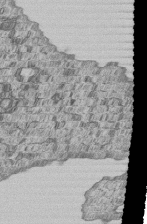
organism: Human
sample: MDA-MB-231 cells